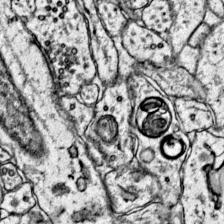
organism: Mouse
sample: Primary visual cortex